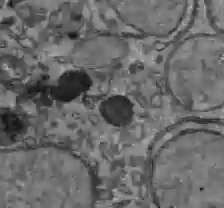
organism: C57BL Mouse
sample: Liver